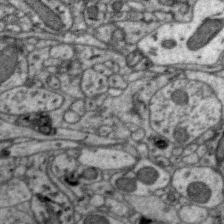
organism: Zebra finch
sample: Brain